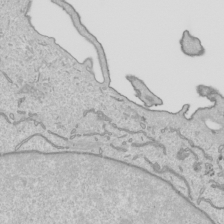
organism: Human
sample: Mitochondria in HCT116 cells